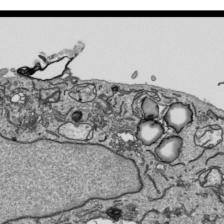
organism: Human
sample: Mitochondria in HCT116 cells